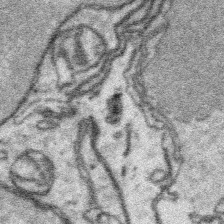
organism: Platynereis dumerilii